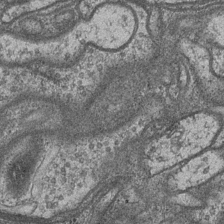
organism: Drosophila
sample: Optic medulla